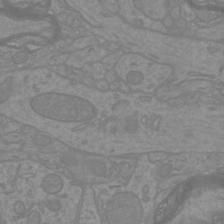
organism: Mouse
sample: Cortical neurons